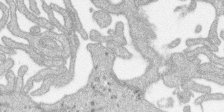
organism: Human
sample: Lung epithelial cells infected with SARS-CoV-2